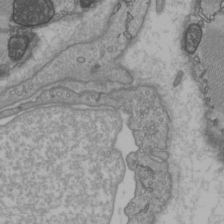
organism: C57BL Mouse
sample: Heart